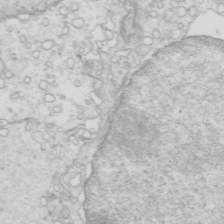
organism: Mouse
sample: Multiciliated cells